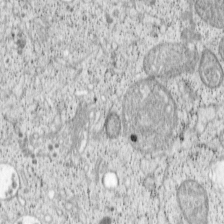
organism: African green monkey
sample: COS-7 cells